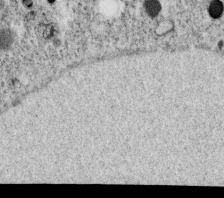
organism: C. elegans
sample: C. elegans oocyte; sperm cells